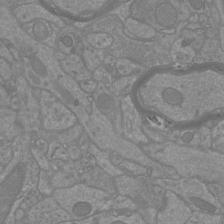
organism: Mouse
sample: Cortical neurons